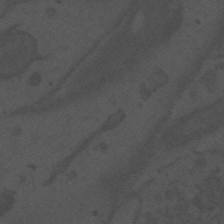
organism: Mouse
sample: Suprachiasmatic nucleus